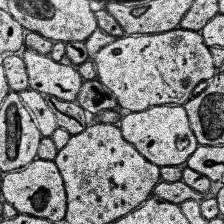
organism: Human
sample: Temporal Lobe